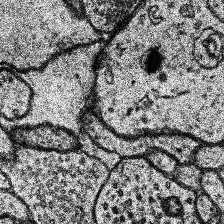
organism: Human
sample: Temporal Lobe